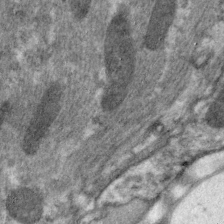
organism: C. elegans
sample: Pharynx